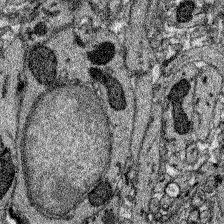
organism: Zebrafish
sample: Larval olfactory bulb